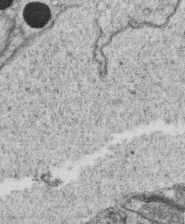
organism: C. elegans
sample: C. elegans oocyte; sperm cells